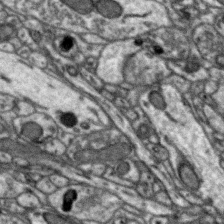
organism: Zebra finch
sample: Brain